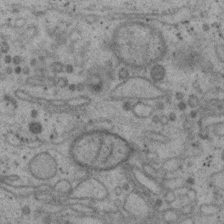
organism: Human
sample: HeLa cells